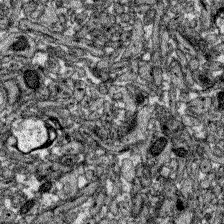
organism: Zebrafish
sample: Larval olfactory bulb